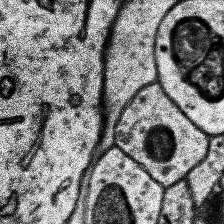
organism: Human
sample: Temporal Lobe